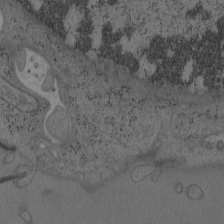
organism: Mouse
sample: OT-I killer T cells with ID8 ovarian cancer cells